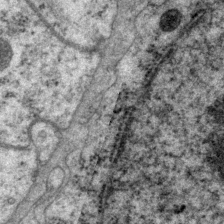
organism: P. pacificus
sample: Pharynx